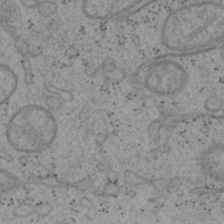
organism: Human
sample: HeLa cells